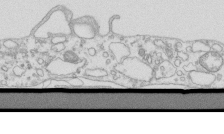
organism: Mouse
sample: Macrophages